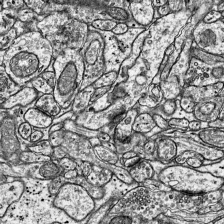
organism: Mouse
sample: Visual Cortex